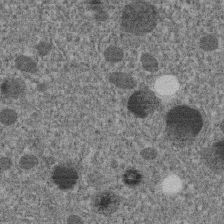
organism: C. elegans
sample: C. elegans embryo early stage